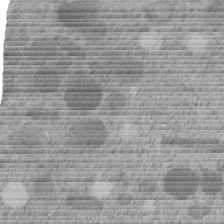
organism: C. elegans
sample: C. elegans embryo early stage